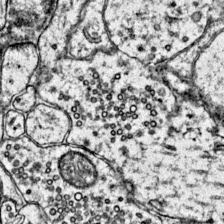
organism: Mouse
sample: Primary visual cortex